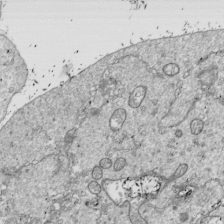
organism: Drosophila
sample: Cell division; meiosis; drosophila spermatocytes